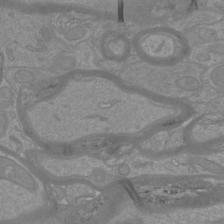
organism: Mouse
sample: Cortical neurons